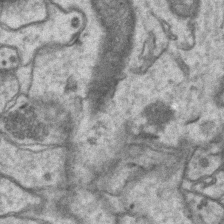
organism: Mouse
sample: CA1 Hippocampus